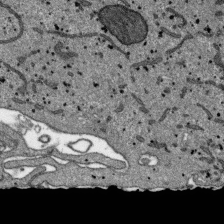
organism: Human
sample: Lung epithelial cells, uninfected (mock) control